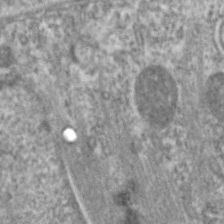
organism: C. elegans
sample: Pharynx